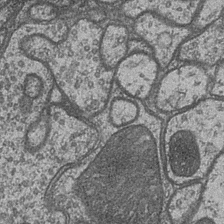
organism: Drosophila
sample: Optic medulla